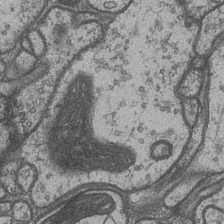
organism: Drosophila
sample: Optic medulla